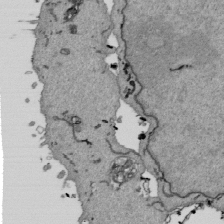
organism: Mouse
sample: ED-1 cell nuclei; centrioles